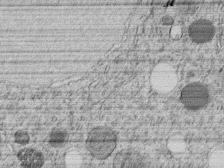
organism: C. elegans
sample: C. elegans embryo early stage